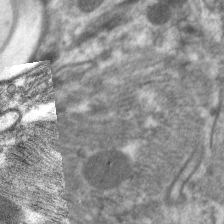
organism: C. elegans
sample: Pharynx